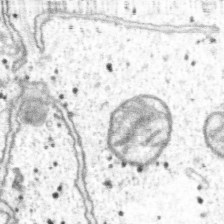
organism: Human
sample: HeLa cells